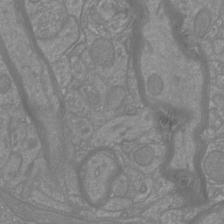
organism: Mouse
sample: Cortical neurons